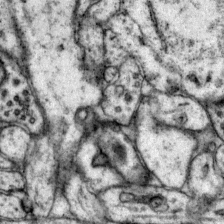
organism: Mouse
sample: Primary visual cortex